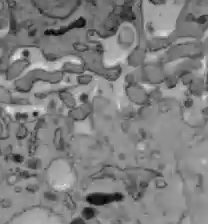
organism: C57BL Mouse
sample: Liver